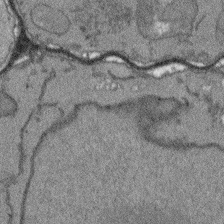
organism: Arabidopsis thaliana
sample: Root tip